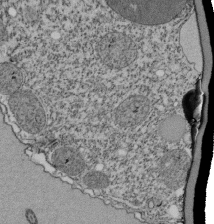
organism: Tetrahymena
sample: Cilia in tetrahymena